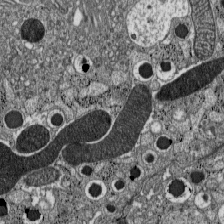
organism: C57BL Mouse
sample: Pancreatic islet